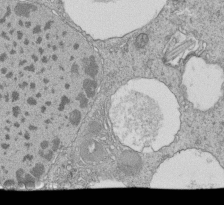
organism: Tetrahymena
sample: Cilia in tetrahymena